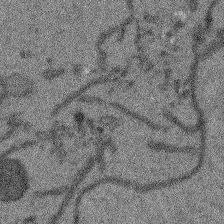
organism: Arabidopsis thaliana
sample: Root tip